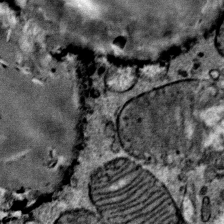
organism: Mouse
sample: Mouse Salivary gland